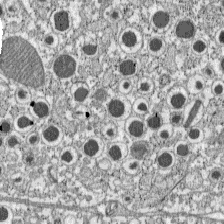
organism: C57BL Mouse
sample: Pancreatic islet